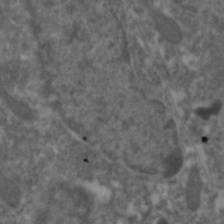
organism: Zebrafish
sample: Zebrafish embryo